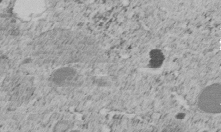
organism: C. elegans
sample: C. elegans embryo early stage